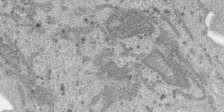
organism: Human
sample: Lung epithelial cells infected with SARS-CoV-2